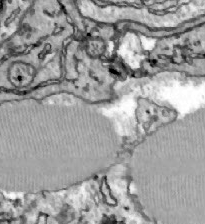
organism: Zebrafish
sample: Actinotrichia fibers